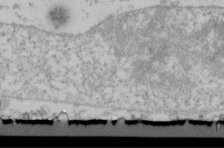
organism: Human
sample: U2-OS cells